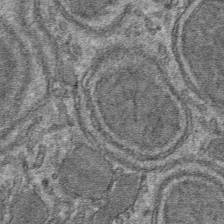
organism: Mouse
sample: Mouse hepatocytes